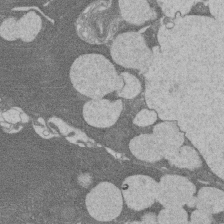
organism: Rat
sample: Salivary granule